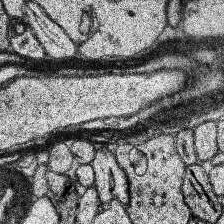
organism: Human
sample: Temporal Lobe